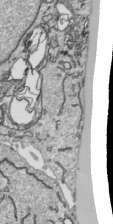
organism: Human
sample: Mitochondria in HCT116 cells